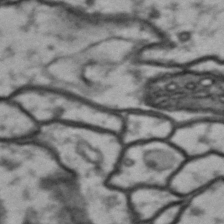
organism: Drosophila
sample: Brain